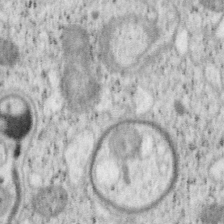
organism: Mouse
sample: OT-I killer T cells with ID8 ovarian cancer cells